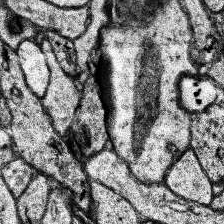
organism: Human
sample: Temporal Lobe